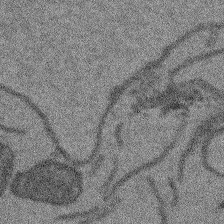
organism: Arabidopsis thaliana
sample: Root tip